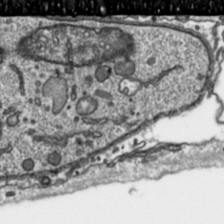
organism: Toxoplasma gondii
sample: Parasites in a vacuole inside a host cell